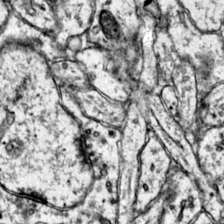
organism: Mouse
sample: Primary visual cortex